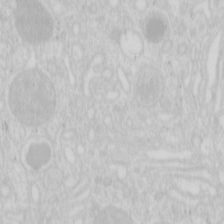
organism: Mouse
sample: Pancreas